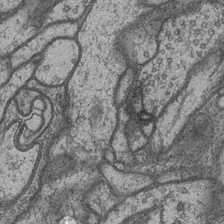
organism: Drosophila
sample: Optic medulla